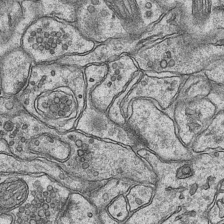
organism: Mouse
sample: CA1 Hippocampus